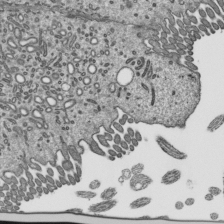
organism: Mouse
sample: Mouse epididymis efferent ductule cilia